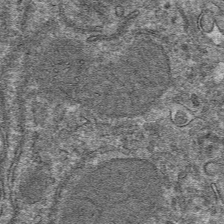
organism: Mouse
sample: Mouse hepatocytes